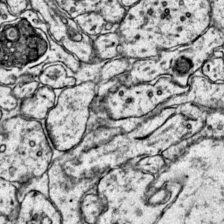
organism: Mouse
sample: Primary visual cortex